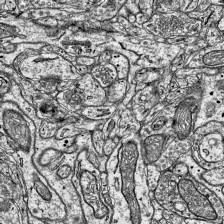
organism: Mouse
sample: Visual Cortex